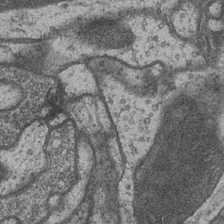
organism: Drosophila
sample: Optic medulla